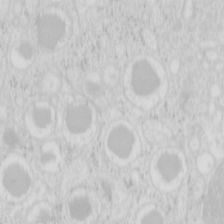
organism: Mouse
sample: Pancreas